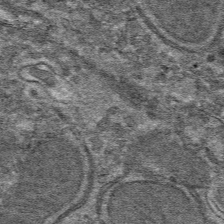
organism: Mouse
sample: Mouse hepatocytes